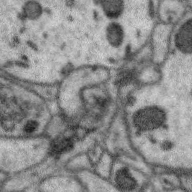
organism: Zebra finch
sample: Brain